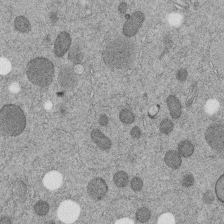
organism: C. elegans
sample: C. elegans embryo early stage